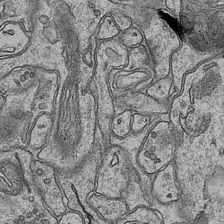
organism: Mouse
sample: CA1 Hippocampus